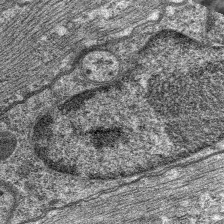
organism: C. elegans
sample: Pharynx